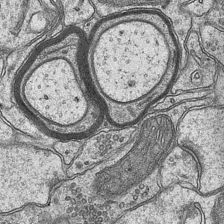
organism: Mouse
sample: CA1 Hippocampus